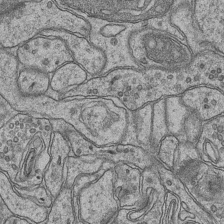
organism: Mouse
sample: CA1 Hippocampus